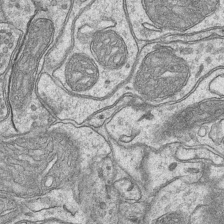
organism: Mouse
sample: CA1 Hippocampus